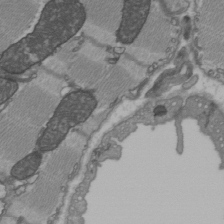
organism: C57BL Mouse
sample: Heart